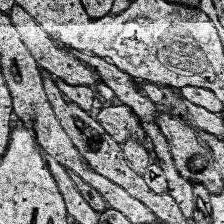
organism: Human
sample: Temporal Lobe